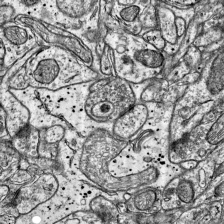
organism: Mouse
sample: Visual Cortex